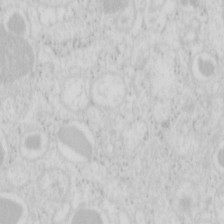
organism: Mouse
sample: Pancreas